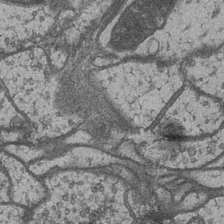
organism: Drosophila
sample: Optic medulla